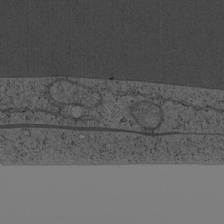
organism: African green monkey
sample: COS-7 cells